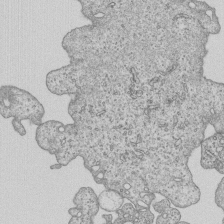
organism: Human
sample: MDA-MB-231 cells